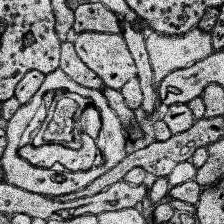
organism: Human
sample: Temporal Lobe